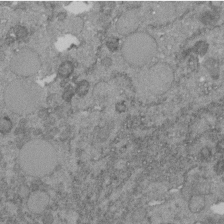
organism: C. elegans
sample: C. elegans embryo early stage